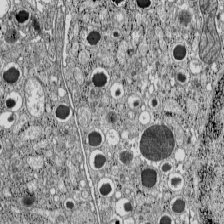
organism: C57BL Mouse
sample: Pancreatic islet